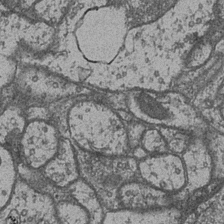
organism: Drosophila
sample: Optic medulla